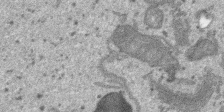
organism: Human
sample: Lung epithelial cells infected with SARS-CoV-2